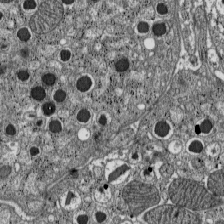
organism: C57BL Mouse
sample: Pancreatic islet